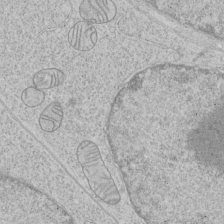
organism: Human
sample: Mitochondria in HCT116 cells